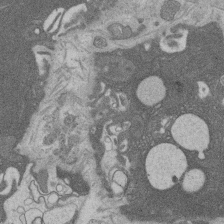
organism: Rat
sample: Salivary granule